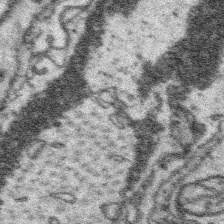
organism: Platynereis dumerilii